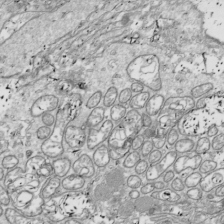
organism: Drosophila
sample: Cell division; meiosis; drosophila spermatocytes